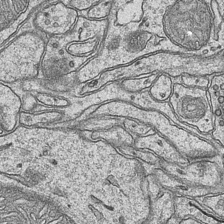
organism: Mouse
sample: CA1 Hippocampus